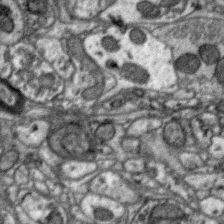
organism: Zebra finch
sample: Brain